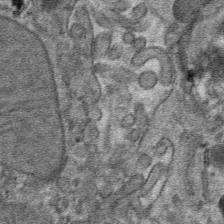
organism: Mouse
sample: Mouse hepatocytes